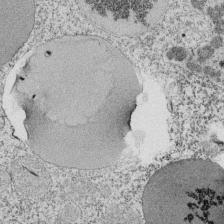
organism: Tetrahymena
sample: Cilia in tetrahymena